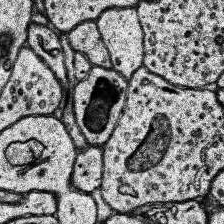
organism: Human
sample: Temporal Lobe